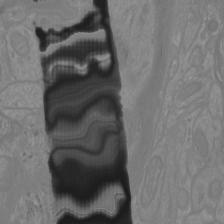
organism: Mouse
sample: Cortical neurons